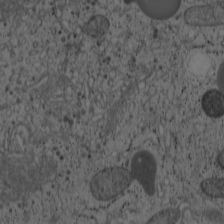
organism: African green monkey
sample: COS-7 cells